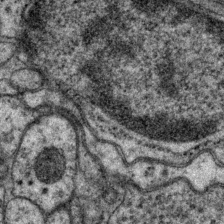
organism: P. pacificus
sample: Pharynx